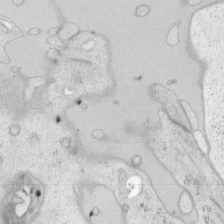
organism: Mouse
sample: OT-I killer T cells with ID8 ovarian cancer cells